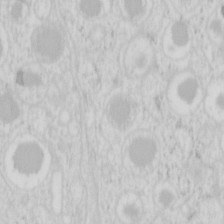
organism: Mouse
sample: Pancreas